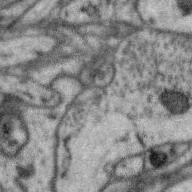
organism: Zebra finch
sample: Brain